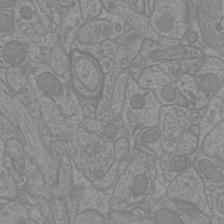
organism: Mouse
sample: Cortical neurons